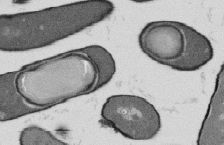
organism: B. subtilis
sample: Bacterial spore